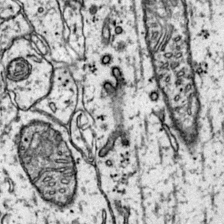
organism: Mouse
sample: Primary visual cortex